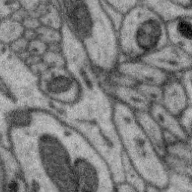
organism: Zebra finch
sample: Brain